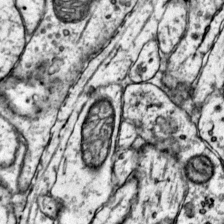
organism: Mouse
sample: Primary visual cortex